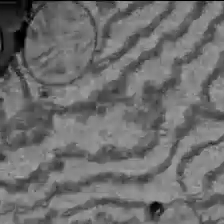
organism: C57BL Mouse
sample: Liver